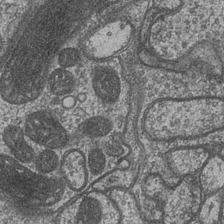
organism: Drosophila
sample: Optic medulla